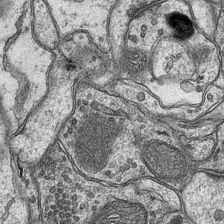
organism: Mouse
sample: CA1 Hippocampus